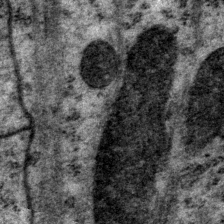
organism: P. pacificus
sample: Pharynx